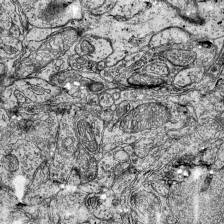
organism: Mouse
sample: Visual Cortex